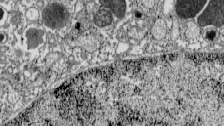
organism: C57BL Mouse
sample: Pancreatic islet